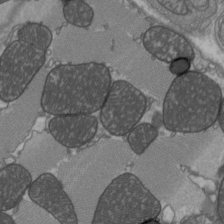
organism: C57BL Mouse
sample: Heart